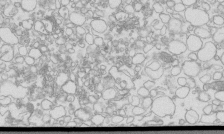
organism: Mouse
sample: Macrophages